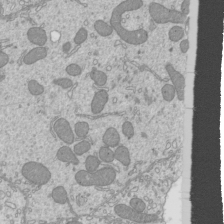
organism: Mouse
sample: Cilia; mouse epididymis